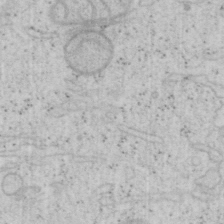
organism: Human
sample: HeLa cells